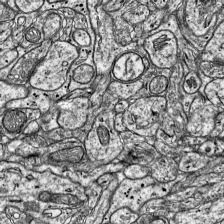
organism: Mouse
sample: Visual Cortex